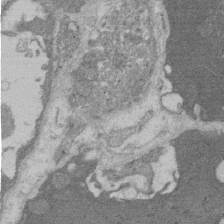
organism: Rat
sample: Salivary granule